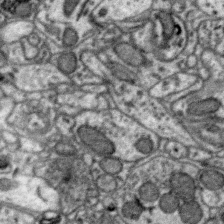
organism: Zebra finch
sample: Brain